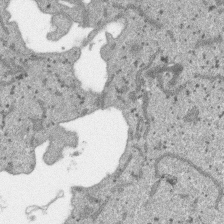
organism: Human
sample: Lung epithelial cells infected with SARS-CoV-2